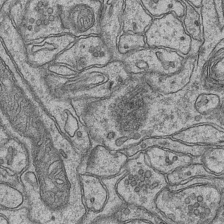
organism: Mouse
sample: CA1 Hippocampus